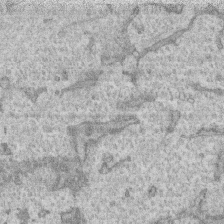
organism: Human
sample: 1205lu cells